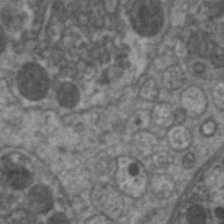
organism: C. elegans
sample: Pharynx